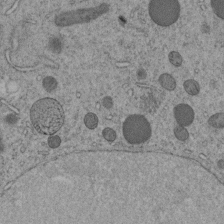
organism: C. elegans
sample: C. elegans embryo early stage